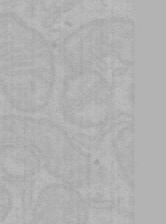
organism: Mouse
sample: Choroid plexus